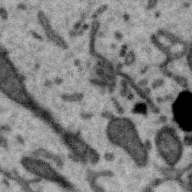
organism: Zebra finch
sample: Brain